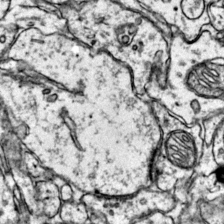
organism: Mouse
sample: Primary visual cortex